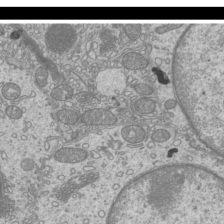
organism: Mouse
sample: Cilia; mouse epididymis